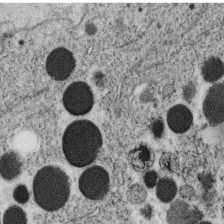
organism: C. elegans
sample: C. elegans oocyte; sperm cells